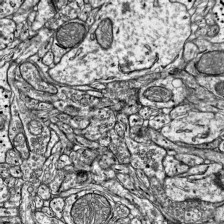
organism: Mouse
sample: Visual Cortex